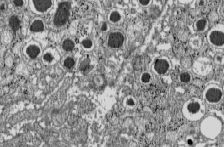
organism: C57BL Mouse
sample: Pancreatic islet